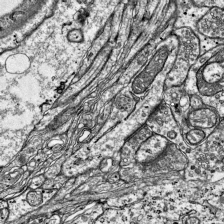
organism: Mouse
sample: Visual Cortex